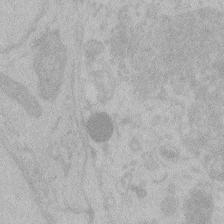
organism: Zebrafish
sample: Macrophage infected with Toxoplasma gondii